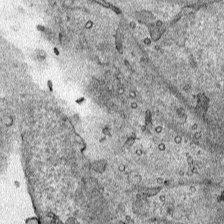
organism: Human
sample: Mitochondria in HCT116 cells